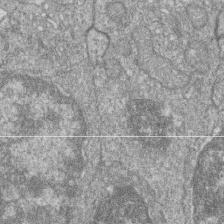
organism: Zebrafish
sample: Cilia; retinal pigment epithelium